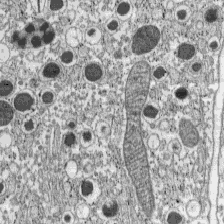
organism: C57BL Mouse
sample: Pancreatic islet